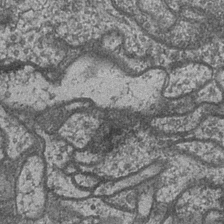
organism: Drosophila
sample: Optic medulla